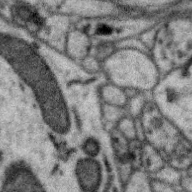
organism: Zebra finch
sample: Brain